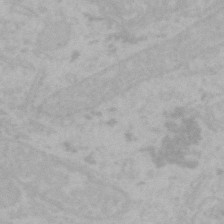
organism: Mouse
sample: Choroid plexus